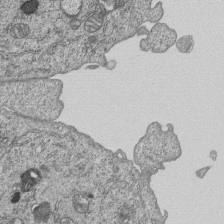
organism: Human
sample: MDA-MB-231 cells